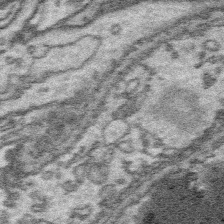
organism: Platynereis dumerilii